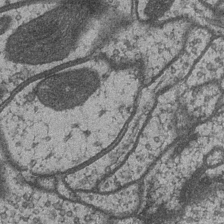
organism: Drosophila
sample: Optic medulla